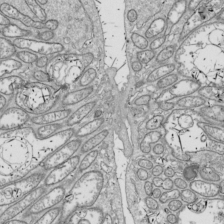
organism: Drosophila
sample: Cell division; meiosis; drosophila spermatocytes